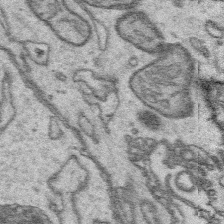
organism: Platynereis dumerilii